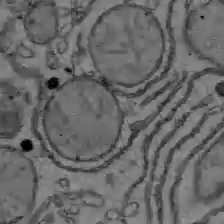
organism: C57BL Mouse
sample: Liver